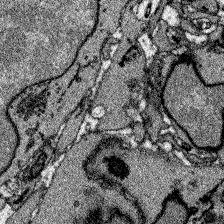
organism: Zebrafish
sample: Larval olfactory bulb